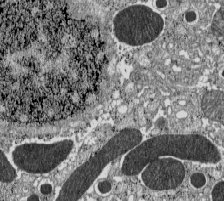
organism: C57BL Mouse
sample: Pancreatic islet